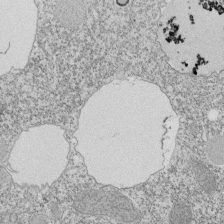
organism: Tetrahymena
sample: Cilia in tetrahymena